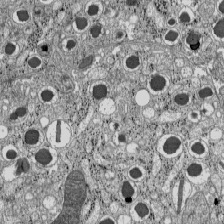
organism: C57BL Mouse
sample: Pancreatic islet